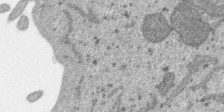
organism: Human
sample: Lung epithelial cells infected with SARS-CoV-2